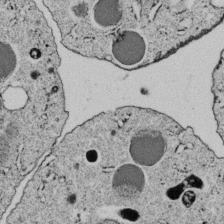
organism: C. elegans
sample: C. elegans embryo early stage